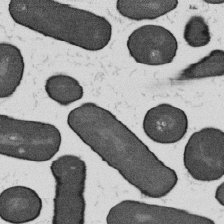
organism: B. subtilis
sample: Bacterial spore